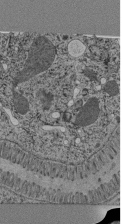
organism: C. elegans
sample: C. elegans pharynx